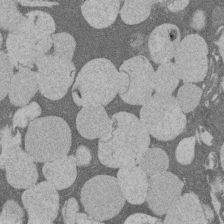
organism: Rat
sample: Salivary granule